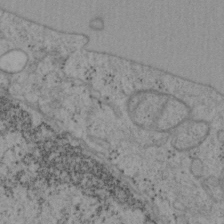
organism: Human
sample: HeLa cells